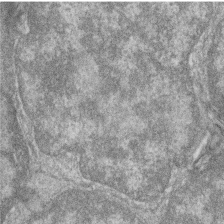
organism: Zebrafish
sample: Cilia; retinal pigment epithelium